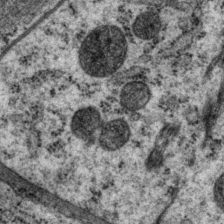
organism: P. pacificus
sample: Pharynx